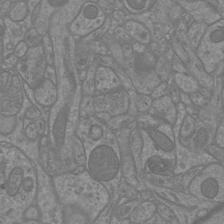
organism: Mouse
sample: Cortical neurons